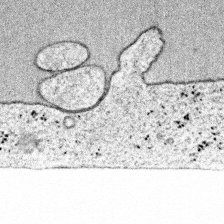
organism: Human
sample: HeLa cells